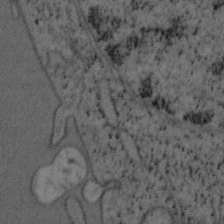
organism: Human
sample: HeLa cells